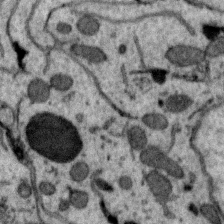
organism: Zebra finch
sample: Brain